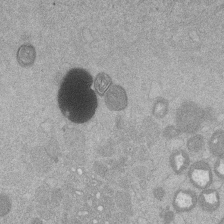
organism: Mouse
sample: Dividing mouse embryo 1 cell stage